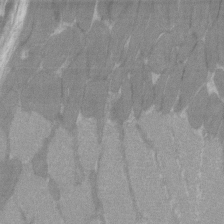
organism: C57BL Mouse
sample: Tibialis anterior muscle cell